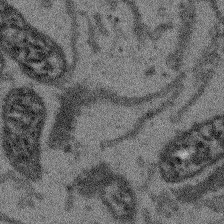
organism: Arabidopsis thaliana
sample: Root tip